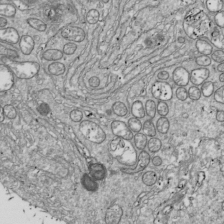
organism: Drosophila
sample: Cell division; meiosis; drosophila spermatocytes